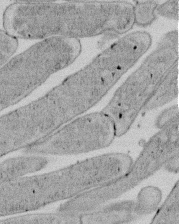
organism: E. coli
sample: Bacterial nucleoid